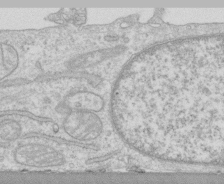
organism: Human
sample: CRL-1474